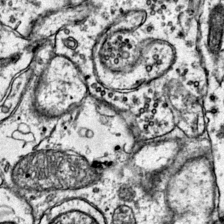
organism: Mouse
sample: Primary visual cortex